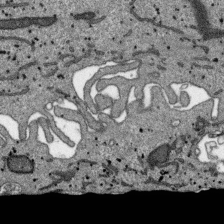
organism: Human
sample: Lung epithelial cells, uninfected (mock) control